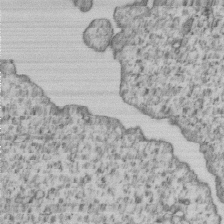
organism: Human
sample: MDA-MB-231 cells